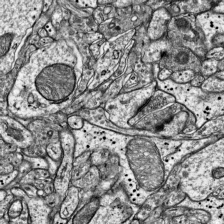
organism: Mouse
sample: Visual Cortex